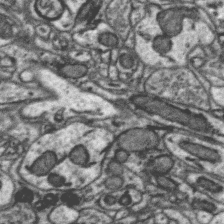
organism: Zebra finch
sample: Brain